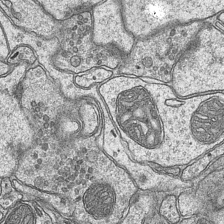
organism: Mouse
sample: CA1 Hippocampus